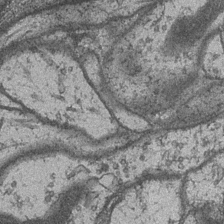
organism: Drosophila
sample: Optic medulla